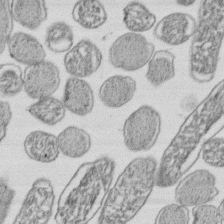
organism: E. coli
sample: Bacterial nucleoid